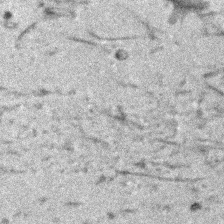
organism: Human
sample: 1205lu cells